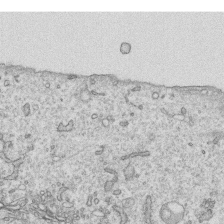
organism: Human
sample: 1205lu cells